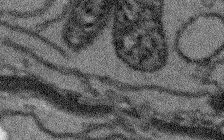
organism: Arabidopsis thaliana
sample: Root tip